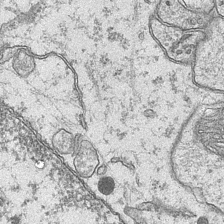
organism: Mouse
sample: CA1 Hippocampus